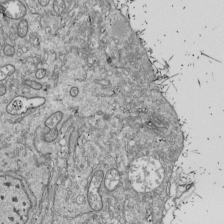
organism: Drosophila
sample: Cell division; meiosis; drosophila spermatocytes